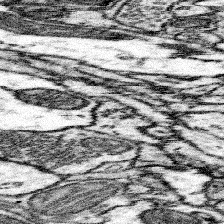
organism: Mouse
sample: Somatosensory cortex neuropil